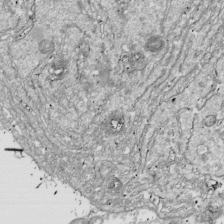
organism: Drosophila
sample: Cell division; meiosis; drosophila spermatocytes